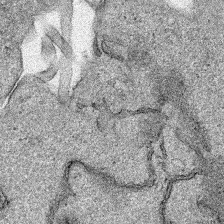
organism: Human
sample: Mitochondria in HCT116 cells